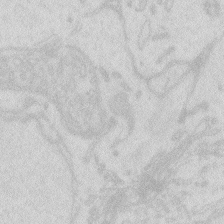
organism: Zebrafish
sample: Macrophage